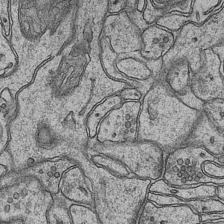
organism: Mouse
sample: CA1 Hippocampus